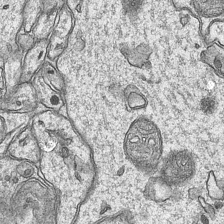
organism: Mouse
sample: CA1 Hippocampus